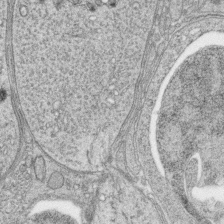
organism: Zebrafish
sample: synaptic ribbons in rod cells and cone cells